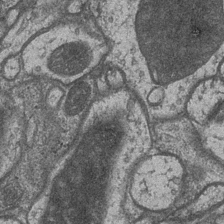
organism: Drosophila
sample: Optic medulla